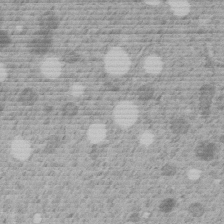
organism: C. elegans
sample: C. elegans embryo early stage